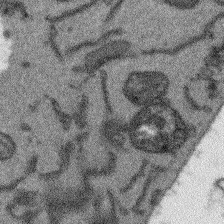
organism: Arabidopsis thaliana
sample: Root tip